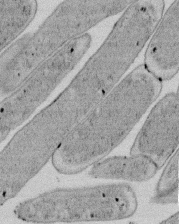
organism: E. coli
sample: Bacterial nucleoid